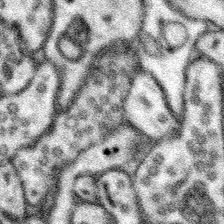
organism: Mouse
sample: Somatosensory cortex neuropil